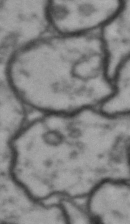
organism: Drosophila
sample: Brain